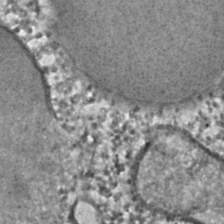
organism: C. elegans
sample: C. elegans embryo